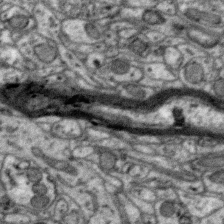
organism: Zebra finch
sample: Brain